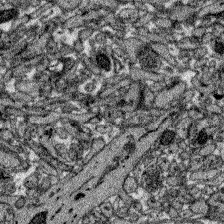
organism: Zebrafish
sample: Larval olfactory bulb